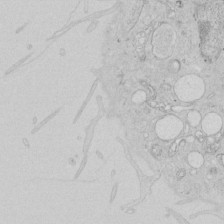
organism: Human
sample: Mitochondria in HCT116 cells